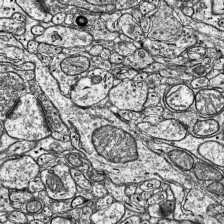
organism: Mouse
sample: Visual Cortex